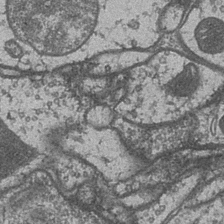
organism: Drosophila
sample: Optic medulla